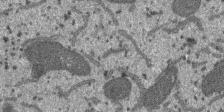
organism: Human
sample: Lung epithelial cells infected with SARS-CoV-2